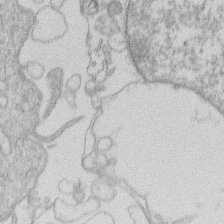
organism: Human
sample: Macrophage cells